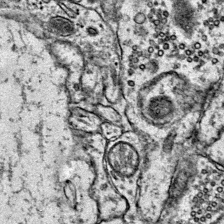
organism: Mouse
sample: Primary visual cortex